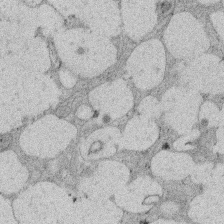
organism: Rat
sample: Salivary granule